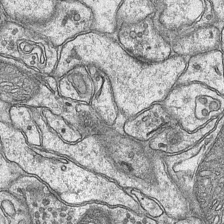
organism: Mouse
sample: CA1 Hippocampus